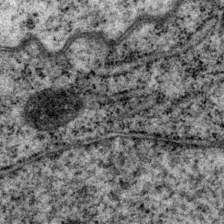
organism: P. pacificus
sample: Pharynx